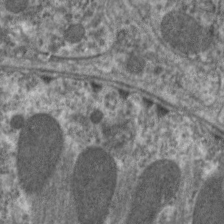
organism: C. elegans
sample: Pharynx